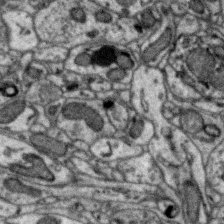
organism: Zebra finch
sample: Brain